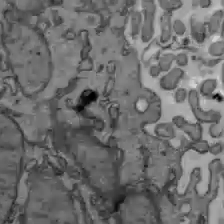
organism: C57BL Mouse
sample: Liver